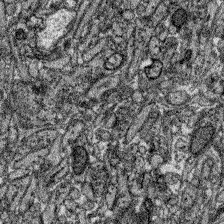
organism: Zebrafish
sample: Larval olfactory bulb